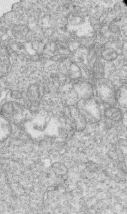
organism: Human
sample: HeLa cell HIV synapse